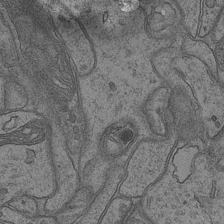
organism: Mouse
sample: CA1 Hippocampus